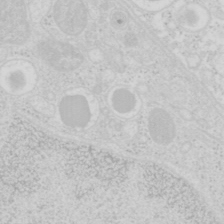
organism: Mouse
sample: Pancreas